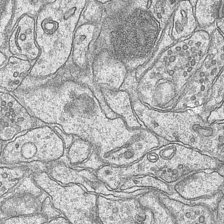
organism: Mouse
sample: CA1 Hippocampus